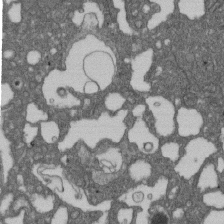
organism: Drosophila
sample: Nephrocyte